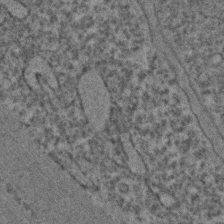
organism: C. elegans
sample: C. elegans embryo